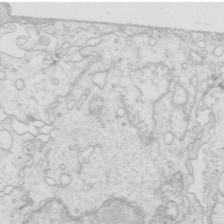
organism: Mouse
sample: Multiciliated cells